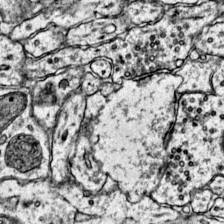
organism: Mouse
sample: Primary visual cortex